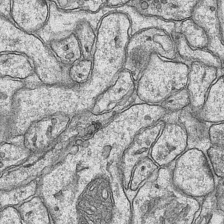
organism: Mouse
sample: CA1 Hippocampus